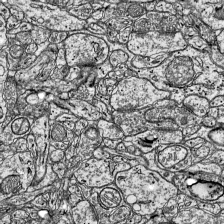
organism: Mouse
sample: Visual Cortex